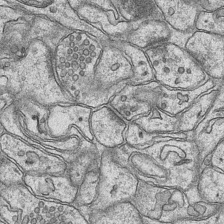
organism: Mouse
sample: CA1 Hippocampus